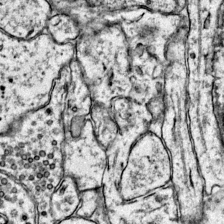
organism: Mouse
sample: Primary visual cortex